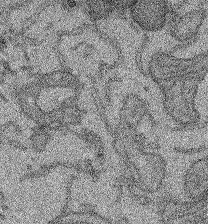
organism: Human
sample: HeLa cells